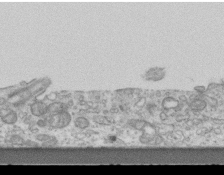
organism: Mouse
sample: Centriole in ependymal cells